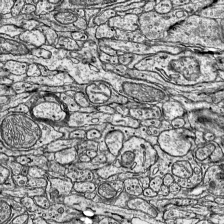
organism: Mouse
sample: Visual Cortex